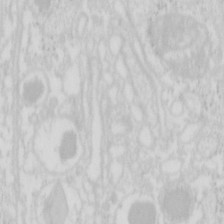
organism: Mouse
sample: Pancreas